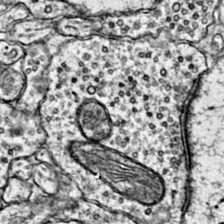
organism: Mouse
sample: Primary visual cortex